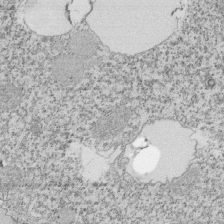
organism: Tetrahymena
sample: Cilia in tetrahymena